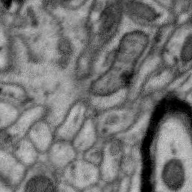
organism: Zebra finch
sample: Brain